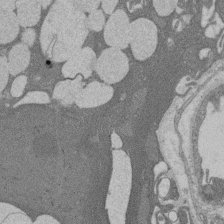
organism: Rat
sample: Salivary granule